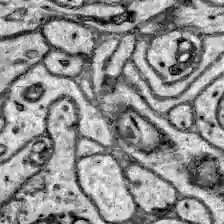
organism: Zebrafish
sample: Brain